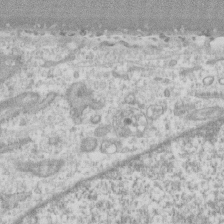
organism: Human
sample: CRL-1474